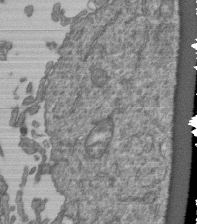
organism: Human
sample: Retinal organoid Rod and Cone cells